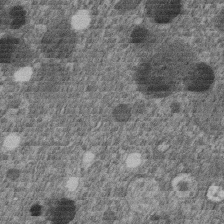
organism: C. elegans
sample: C. elegans embryo early stage